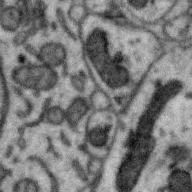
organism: Zebra finch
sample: Brain